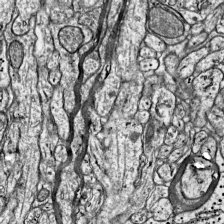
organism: Mouse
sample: Visual Cortex